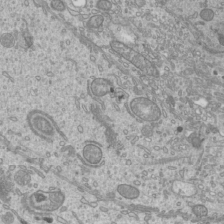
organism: Mouse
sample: Cilia; mouse epididymis